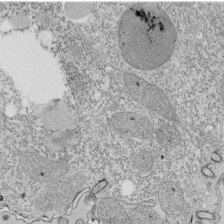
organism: Tetrahymena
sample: Cilia in tetrahymena